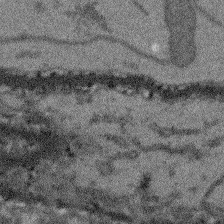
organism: Arabidopsis thaliana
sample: Root tip